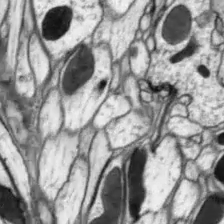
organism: Drosophila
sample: Optic lobe